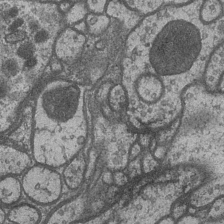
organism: Drosophila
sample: Optic medulla